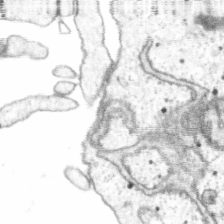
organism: Human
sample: HeLa cells